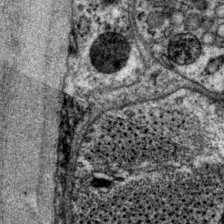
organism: P. pacificus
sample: Pharynx